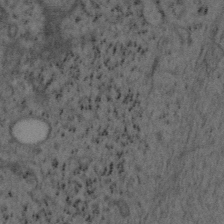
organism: Human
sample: HeLa cells